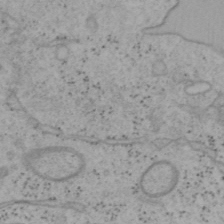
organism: Human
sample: HeLa cells